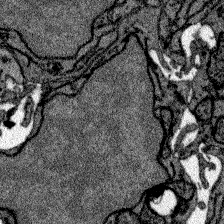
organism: Zebrafish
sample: Larval olfactory bulb